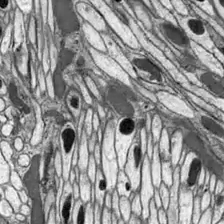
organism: Drosophila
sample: Optic lobe